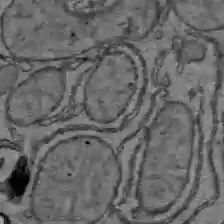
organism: C57BL Mouse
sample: Liver